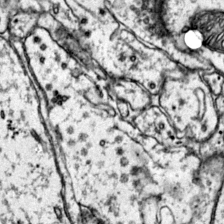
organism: Mouse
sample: Primary visual cortex